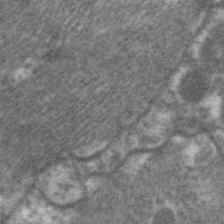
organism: C. elegans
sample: Pharynx